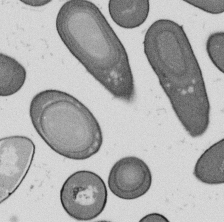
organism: B. subtilis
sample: Bacterial spore